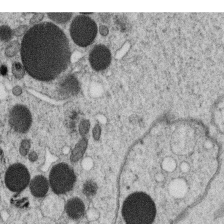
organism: C. elegans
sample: C. elegans oocyte; sperm cells